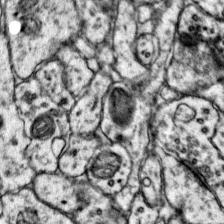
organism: Mouse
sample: Primary visual cortex